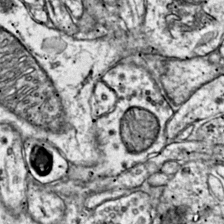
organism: Mouse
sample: Primary visual cortex